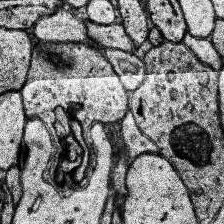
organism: Human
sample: Temporal Lobe